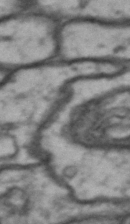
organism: Drosophila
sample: Brain